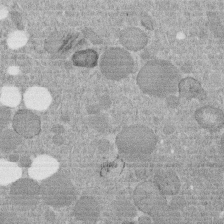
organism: C. elegans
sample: C. elegans embryo early stage